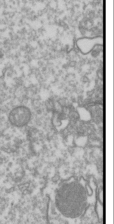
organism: Drosophila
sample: Cell division; meiosis; drosophila spermatocytes